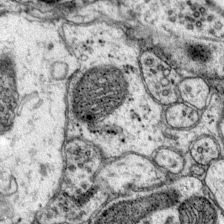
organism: Mouse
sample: Primary visual cortex